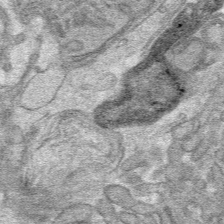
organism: Mouse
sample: Mouse hepatocytes